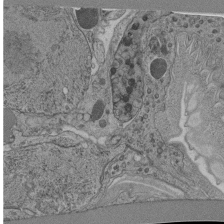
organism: C. elegans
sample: C. elegans pharynx